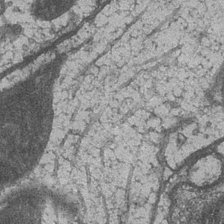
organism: Drosophila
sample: Optic medulla